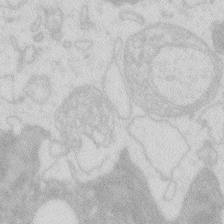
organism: Zebrafish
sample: Macrophage